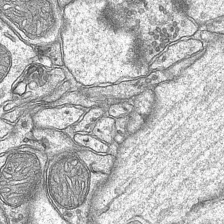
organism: Mouse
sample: CA1 Hippocampus